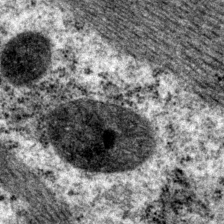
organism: P. pacificus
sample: Pharynx